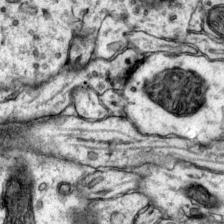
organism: Mouse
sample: Primary visual cortex